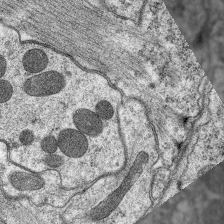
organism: C. elegans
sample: Pharynx